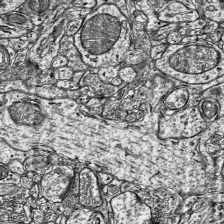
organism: Mouse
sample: Visual Cortex